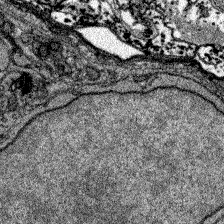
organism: Zebrafish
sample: Larval olfactory bulb